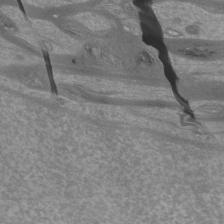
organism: Mouse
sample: Cortical neurons